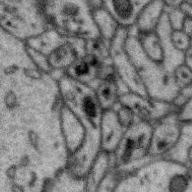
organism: Zebra finch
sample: Brain